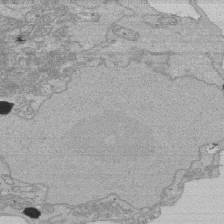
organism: Human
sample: Activated Jurkat CD4+ T cells